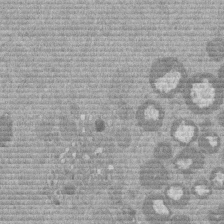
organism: Mouse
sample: Dividing mouse embryo 1 cell stage